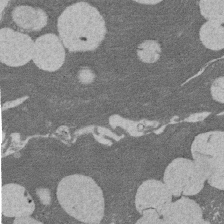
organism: Rat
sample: Salivary granule